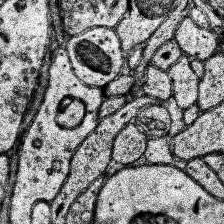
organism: Human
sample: Temporal Lobe